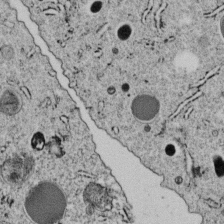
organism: C. elegans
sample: C. elegans embryo early stage